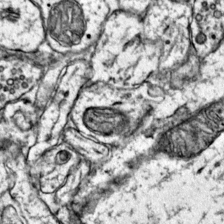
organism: Mouse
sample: Primary visual cortex